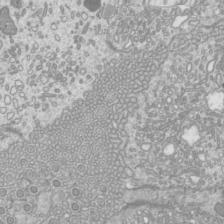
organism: Mouse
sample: Cilia; mouse epididymis